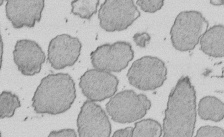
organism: E. coli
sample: Bacterial nucleoid